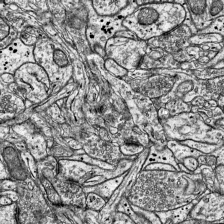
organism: Mouse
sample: Visual Cortex